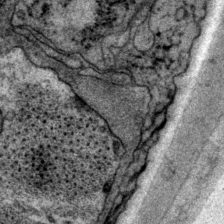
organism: P. pacificus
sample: Pharynx